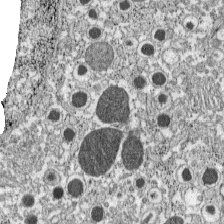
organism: C57BL Mouse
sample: Pancreatic islet